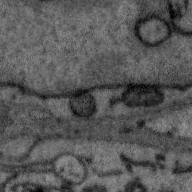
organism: Zebra finch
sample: Brain